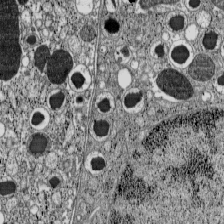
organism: C57BL Mouse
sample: Pancreatic islet